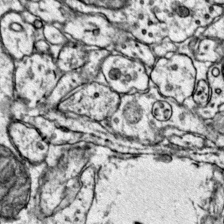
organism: Mouse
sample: Primary visual cortex